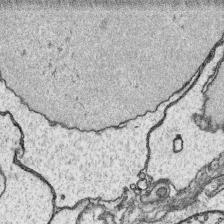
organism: Platynereis dumerilii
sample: Parapodia